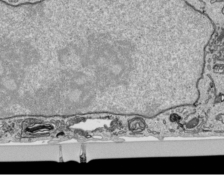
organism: Human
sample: Mitochondria in HCT116 cells